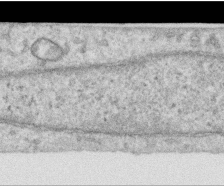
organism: Human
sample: Centriole in RPE cells